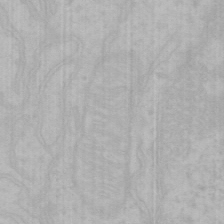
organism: Mouse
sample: Choroid plexus